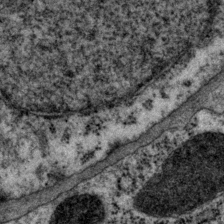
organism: P. pacificus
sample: Pharynx